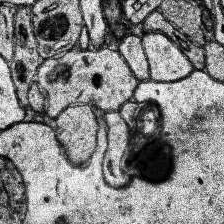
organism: Human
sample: Temporal Lobe